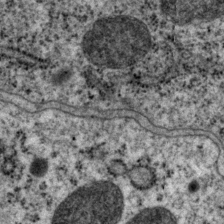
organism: P. pacificus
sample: Pharynx